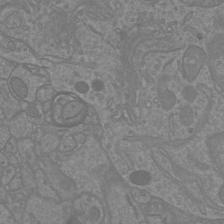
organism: Mouse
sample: Cortical neurons